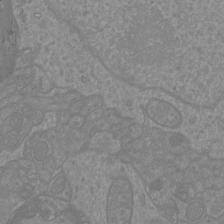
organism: Mouse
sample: Cortical neurons